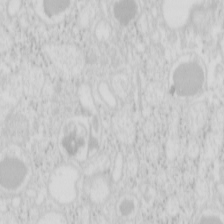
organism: Mouse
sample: Pancreas